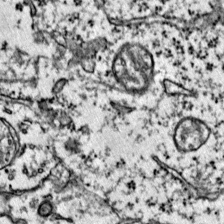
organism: Mouse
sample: Primary visual cortex